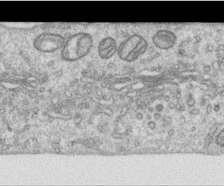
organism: Human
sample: Centriole in RPE cells